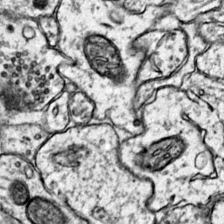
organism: Mouse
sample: Primary visual cortex